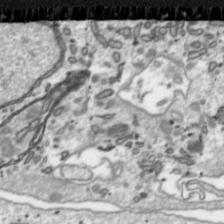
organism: Toxoplasma gondii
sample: Parasites in a vacuole inside a host cell